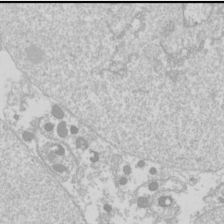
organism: Drosophila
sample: Cell division; meiosis; drosophila spermatocytes